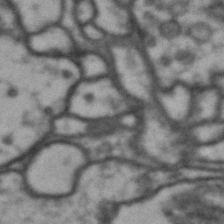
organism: Drosophila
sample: Brain